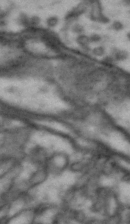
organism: Drosophila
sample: Brain